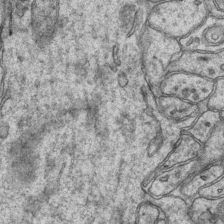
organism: Mouse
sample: CA1 Hippocampus